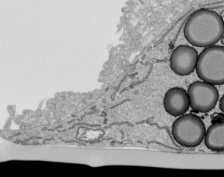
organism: Human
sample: Mitochondria in HCT116 cells